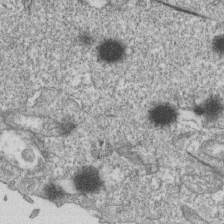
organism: Human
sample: HeLa cell HIV synapse